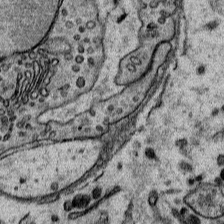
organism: Mouse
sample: Mouse Salivary gland